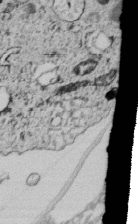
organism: C. elegans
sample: C. elegans embryo early stage